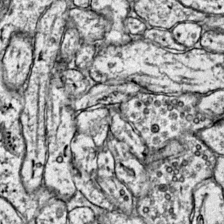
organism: Mouse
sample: Primary visual cortex